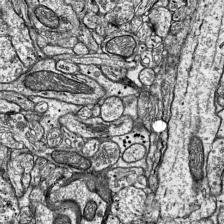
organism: Mouse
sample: Visual Cortex